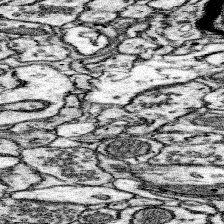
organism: Mouse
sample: Somatosensory cortex neuropil